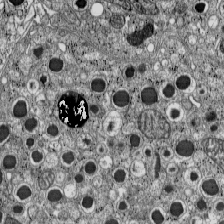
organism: C57BL Mouse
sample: Pancreatic islet